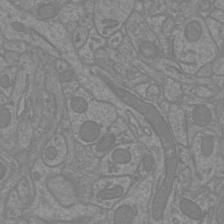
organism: Mouse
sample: Cortical neurons